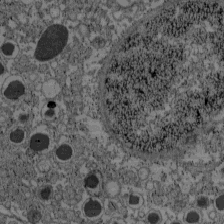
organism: C57BL Mouse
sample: Pancreatic islet